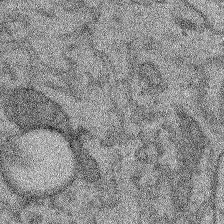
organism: Human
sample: HeLa cells